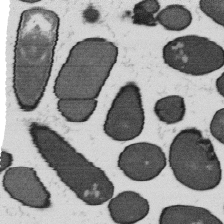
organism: B. subtilis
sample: Bacterial spore